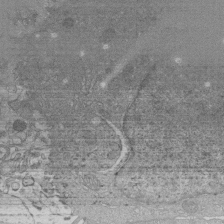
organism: Human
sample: Macrophage cells